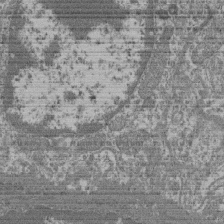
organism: Mouse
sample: Glomerulus